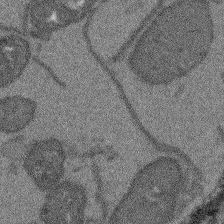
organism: Arabidopsis thaliana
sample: Root tip